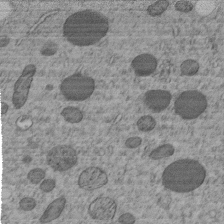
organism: C. elegans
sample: C. elegans embryo early stage